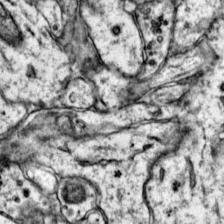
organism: Mouse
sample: Primary visual cortex